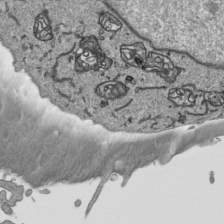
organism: Human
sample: Mitochondria in HCT116 cells